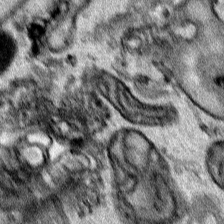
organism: Human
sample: Mitochondria in HCT116 cells